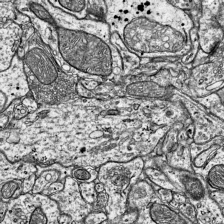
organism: Mouse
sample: Visual Cortex